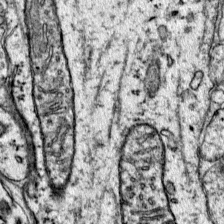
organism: Mouse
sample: Primary visual cortex